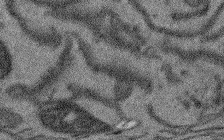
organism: Arabidopsis thaliana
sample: Root tip